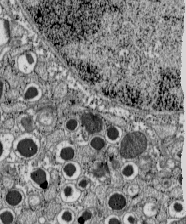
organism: C57BL Mouse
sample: Pancreatic islet